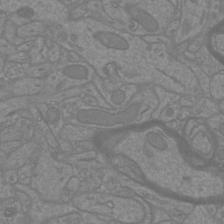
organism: Mouse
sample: Cortical neurons